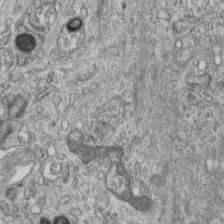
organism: Mouse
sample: Centriole in ependymal cells